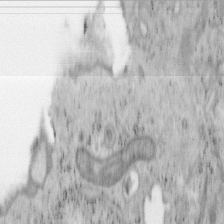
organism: Human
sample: HeLa cells